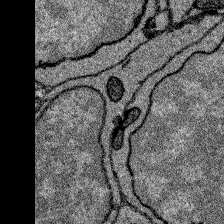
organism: Zebrafish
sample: Larval olfactory bulb